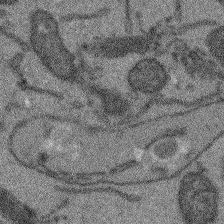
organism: Arabidopsis thaliana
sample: Root tip